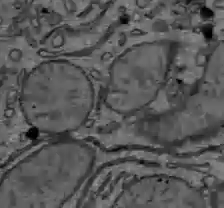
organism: C57BL Mouse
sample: Liver